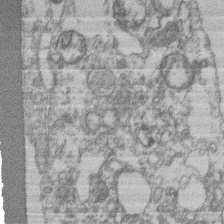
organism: Mouse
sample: T cell stromal cell synapse